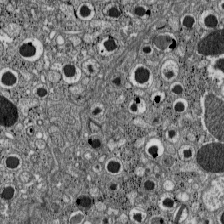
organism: C57BL Mouse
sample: Pancreatic islet